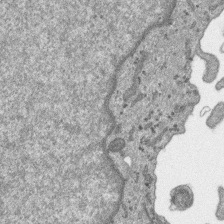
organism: Human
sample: Lung epithelial cells infected with SARS-CoV-2